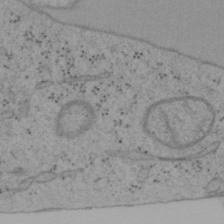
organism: Human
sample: HeLa cells